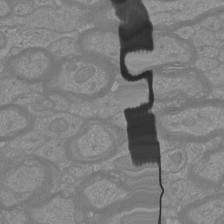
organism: Mouse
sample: Cortical neurons